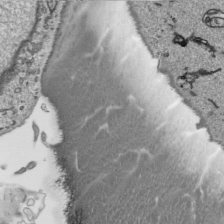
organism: Human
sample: Mitochondria in HCT116 cells